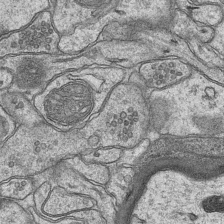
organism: Mouse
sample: CA1 Hippocampus